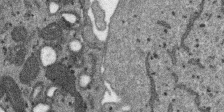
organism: Human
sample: Lung epithelial cells infected with SARS-CoV-2